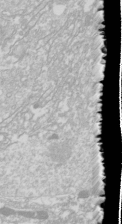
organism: Drosophila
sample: Cell division; meiosis; drosophila spermatocytes